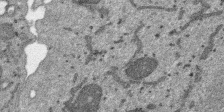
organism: Human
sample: Lung epithelial cells infected with SARS-CoV-2